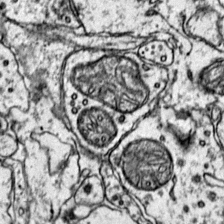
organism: Mouse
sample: Primary visual cortex